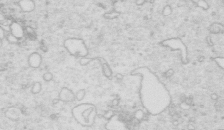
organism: Mouse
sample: Multiciliated cells